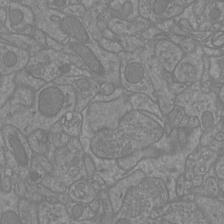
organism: Mouse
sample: Cortical neurons